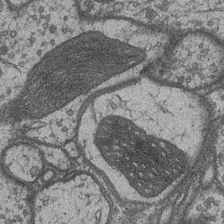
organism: Drosophila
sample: Optic medulla